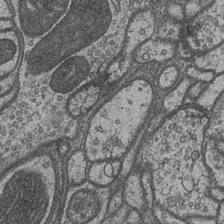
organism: Drosophila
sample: Optic medulla